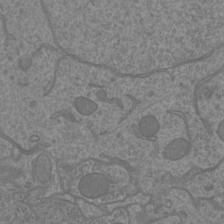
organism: Mouse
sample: Cortical neurons